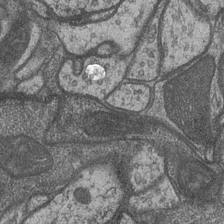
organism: Drosophila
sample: Optic medulla